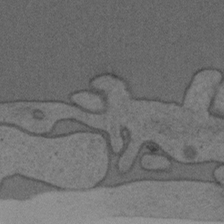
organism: Human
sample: HeLa cells